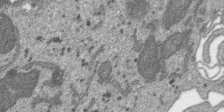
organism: Human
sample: Lung epithelial cells infected with SARS-CoV-2